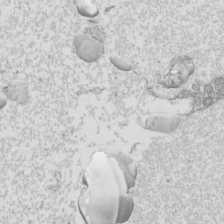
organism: Mouse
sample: Cilia; mouse epididymis